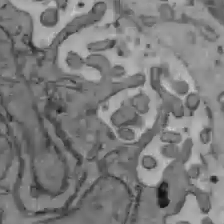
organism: C57BL Mouse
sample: Liver